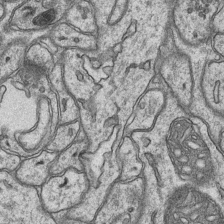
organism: Mouse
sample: CA1 Hippocampus